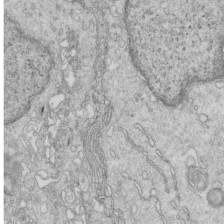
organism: Mouse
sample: Multiciliated cells